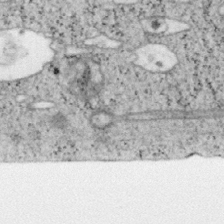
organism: Mouse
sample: OT-I killer T cells with ID8 ovarian cancer cells